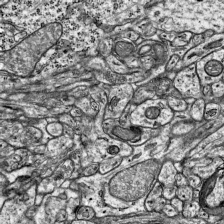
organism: Mouse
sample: Visual Cortex